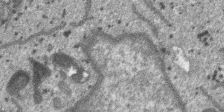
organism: Human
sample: Lung epithelial cells infected with SARS-CoV-2